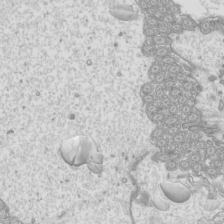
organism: Mouse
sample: Cilia; mouse epididymis